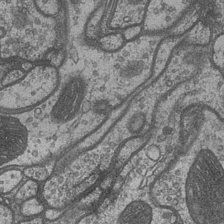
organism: Drosophila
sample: Optic medulla